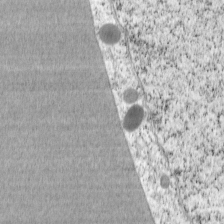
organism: African green monkey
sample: COS-7 cells